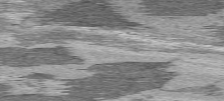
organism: C57BL Mouse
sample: Heart